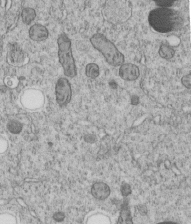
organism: C. elegans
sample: C. elegans embryo early stage